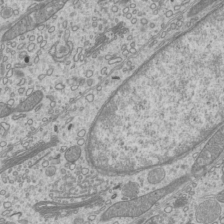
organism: Mouse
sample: Cilia; mouse epididymis